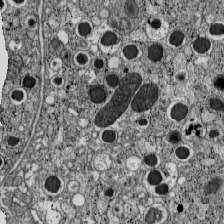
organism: C57BL Mouse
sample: Pancreatic islet